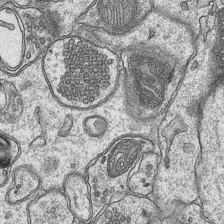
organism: Mouse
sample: CA1 Hippocampus